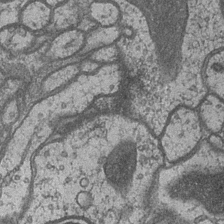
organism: Drosophila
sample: Optic medulla